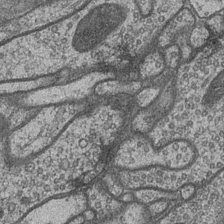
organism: Drosophila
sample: Optic medulla